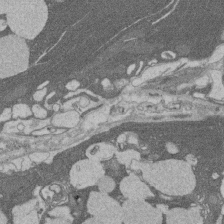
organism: Rat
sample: Salivary granule